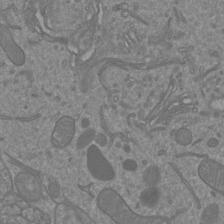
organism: Mouse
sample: Cortical neurons